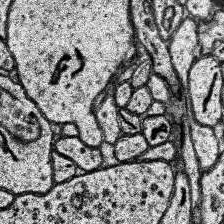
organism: Human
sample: Temporal Lobe